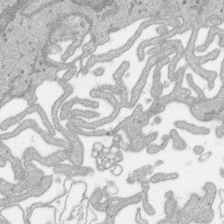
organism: Human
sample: Lung epithelial cells infected with SARS-CoV-2